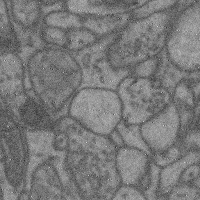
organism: Mouse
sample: Cerebral cortex